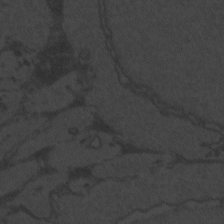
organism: Zebrafish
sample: Macrophage infected with Toxoplasma gondii